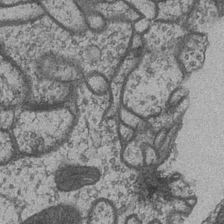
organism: Drosophila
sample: Optic medulla